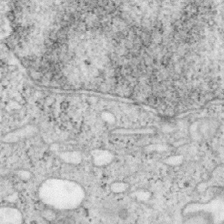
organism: Mouse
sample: OT-I killer T cells with ID8 ovarian cancer cells